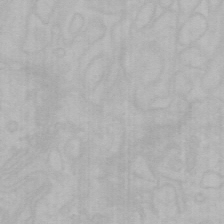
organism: Mouse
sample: Choroid plexus